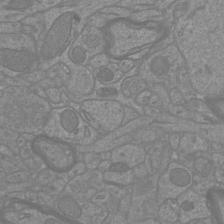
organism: Mouse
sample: Cortical neurons